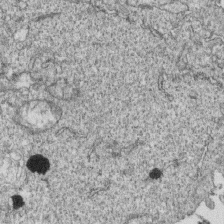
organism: Human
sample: HeLa cell HIV synapse